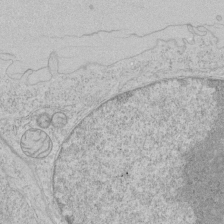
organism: Human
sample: Mitochondria in HCT116 cells